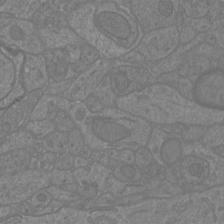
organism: Mouse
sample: Cortical neurons